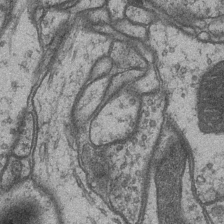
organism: Drosophila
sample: Optic medulla